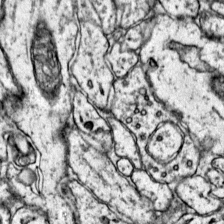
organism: Mouse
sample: Primary visual cortex